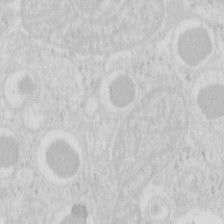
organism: Mouse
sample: Pancreas